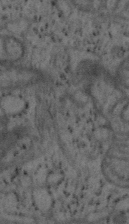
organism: Human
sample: HeLa cells